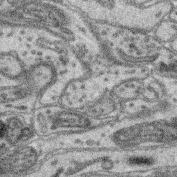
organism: Mouse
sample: Retina